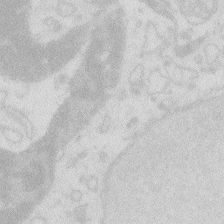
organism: Zebrafish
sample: Macrophage